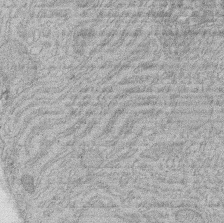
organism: Rat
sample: Salivary granule